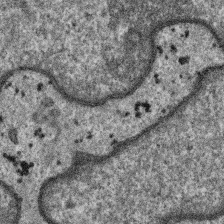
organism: Human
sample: Lung epithelial cells infected with SARS-CoV-2